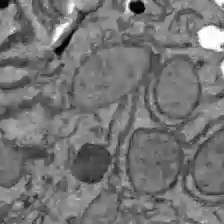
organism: C57BL Mouse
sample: Liver